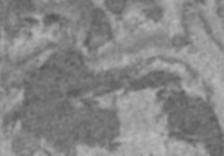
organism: C57BL Mouse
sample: Heart